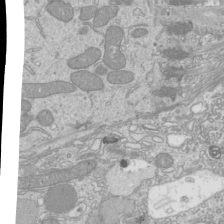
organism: Mouse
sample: Cilia; mouse epididymis